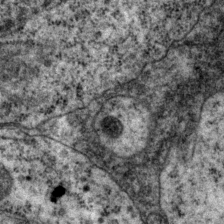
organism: P. pacificus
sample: Pharynx